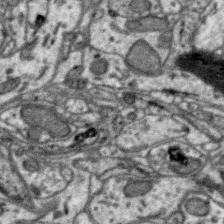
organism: Zebra finch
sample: Brain